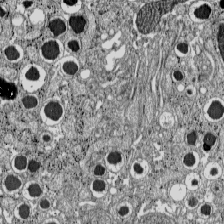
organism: C57BL Mouse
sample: Pancreatic islet